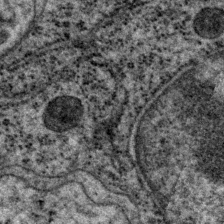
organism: P. pacificus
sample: Pharynx